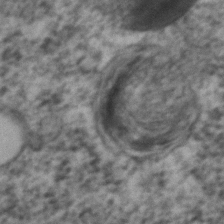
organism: C. elegans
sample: C. elegans embryo